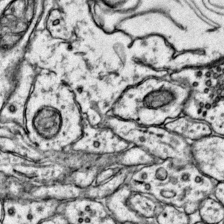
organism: Mouse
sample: Primary visual cortex